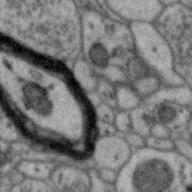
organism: Zebra finch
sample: Brain